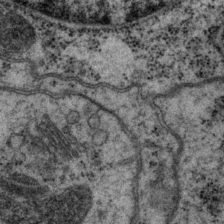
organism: P. pacificus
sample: Pharynx